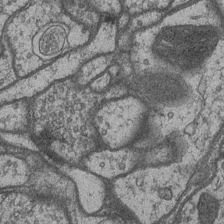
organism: Drosophila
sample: Optic medulla